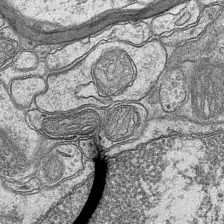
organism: Mouse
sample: CA1 Hippocampus